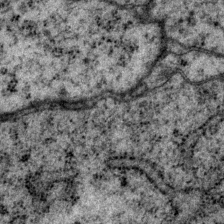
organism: P. pacificus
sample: Pharynx